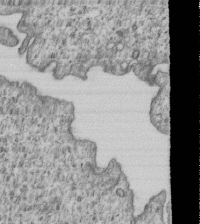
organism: Human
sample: MDA-MB-231 cells